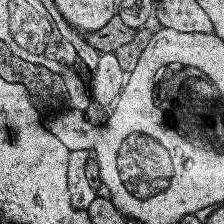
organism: Human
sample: Temporal Lobe